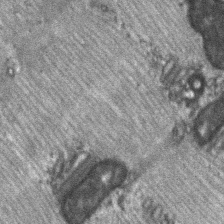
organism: C57BL Mouse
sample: Soleus